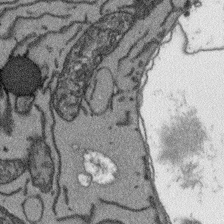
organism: Arabidopsis thaliana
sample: Root tip